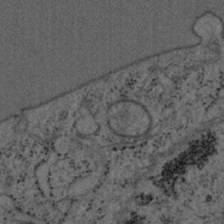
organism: Human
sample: HeLa cells